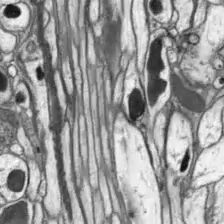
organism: Drosophila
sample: Optic lobe